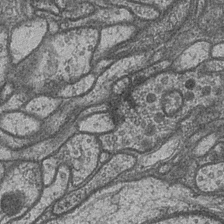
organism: Drosophila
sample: Optic medulla